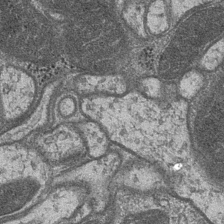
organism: Drosophila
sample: Optic medulla